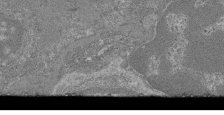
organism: Mouse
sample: Glomerulus